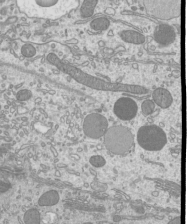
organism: Mouse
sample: Cilia; mouse epididymis